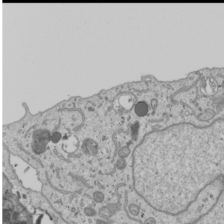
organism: Human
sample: Mitochondria in U2OS cells